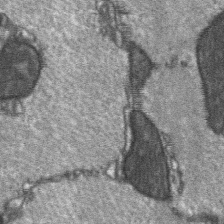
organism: C57BL Mouse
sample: Soleus